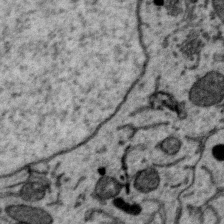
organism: Zebra finch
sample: Brain